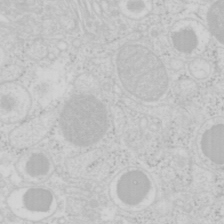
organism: Mouse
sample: Pancreas